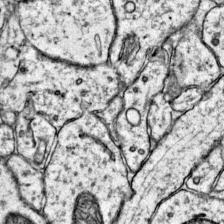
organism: Mouse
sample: Primary visual cortex